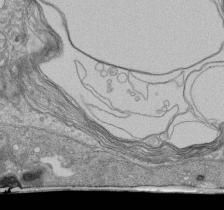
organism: Human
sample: Retinal organoid Rod and Cone cells